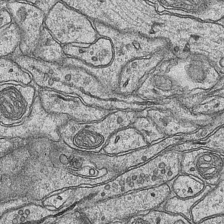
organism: Mouse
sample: CA1 Hippocampus